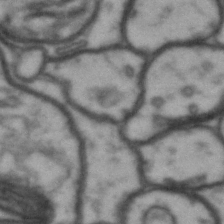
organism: Drosophila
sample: Brain